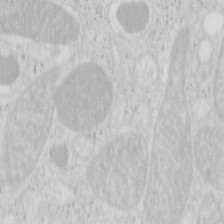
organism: Mouse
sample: Pancreas